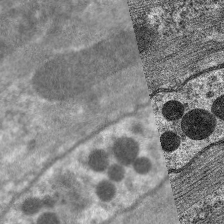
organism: C. elegans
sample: Pharynx